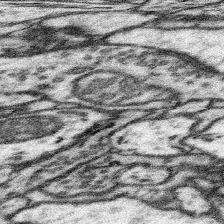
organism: Mouse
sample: Somatosensory cortex neuropil